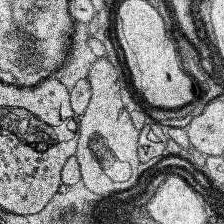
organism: Human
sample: Temporal Lobe